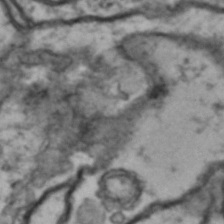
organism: Drosophila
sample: Brain